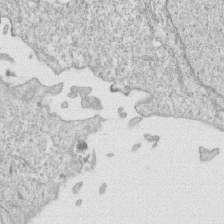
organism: Human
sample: HeLa cell HIV synapse